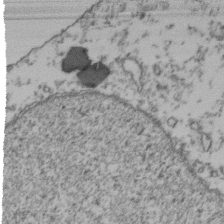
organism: Human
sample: Activated Jurkat CD4+ T cells